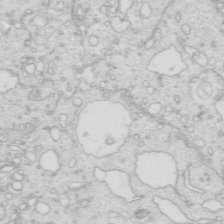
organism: Mouse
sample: Multiciliated cells